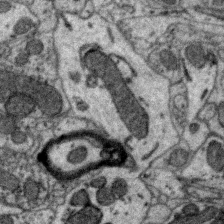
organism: Zebra finch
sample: Brain